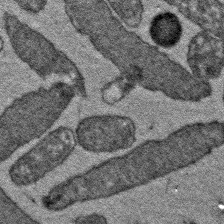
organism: E. coli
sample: E. Coli Bacteria